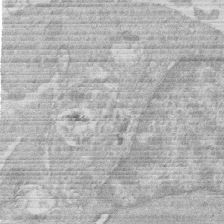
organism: Human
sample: Macrophage cells